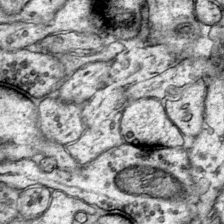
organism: Mouse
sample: Primary visual cortex